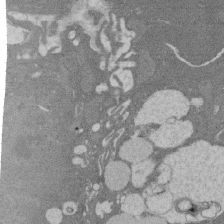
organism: Rat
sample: Salivary granule